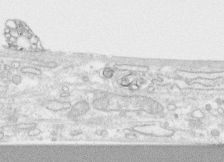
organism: Human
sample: CRL-1474